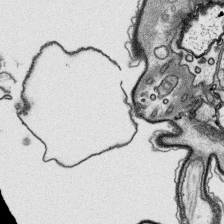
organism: Platynereis dumerilii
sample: Parapodia